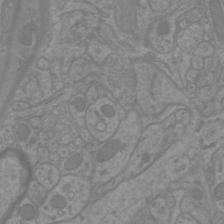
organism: Mouse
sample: Cortical neurons